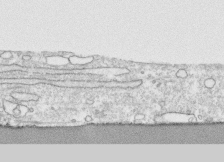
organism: Human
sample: CRL-1474